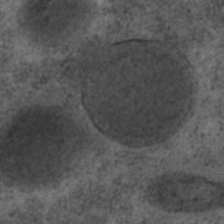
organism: C. elegans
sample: C. elegans embryo